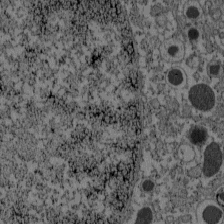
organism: C57BL Mouse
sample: Pancreatic islet